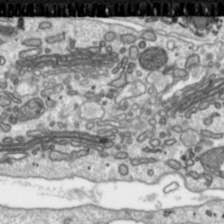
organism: Toxoplasma gondii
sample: Parasites in a vacuole inside a host cell